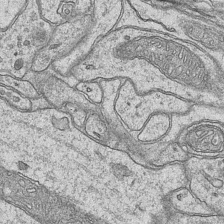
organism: Mouse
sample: CA1 Hippocampus